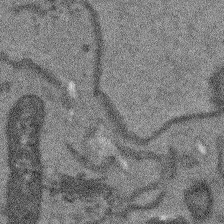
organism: Arabidopsis thaliana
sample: Root tip